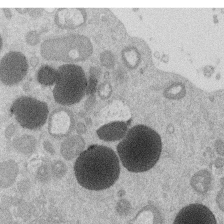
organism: Mouse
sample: Dividing mouse embryo 1 cell stage